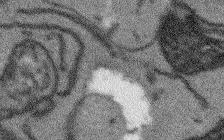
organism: Arabidopsis thaliana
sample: Root tip